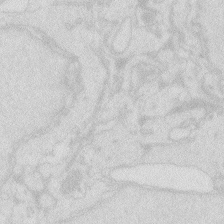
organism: Zebrafish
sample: Macrophage